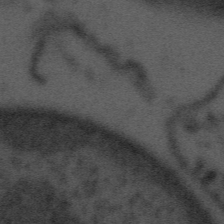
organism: Tuwongella immobilis